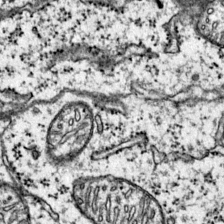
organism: Mouse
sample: Primary visual cortex